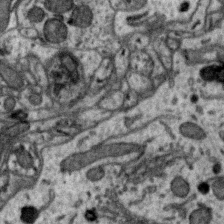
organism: Zebra finch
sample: Brain